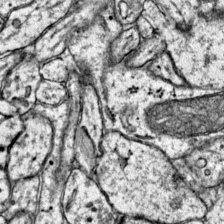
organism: Mouse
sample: Primary visual cortex